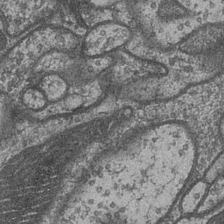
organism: Drosophila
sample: Optic medulla